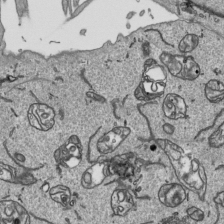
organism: Human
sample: Mitochondria in HCT116 cells